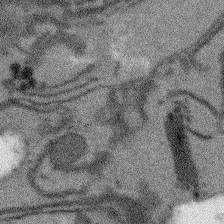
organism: Arabidopsis thaliana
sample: Root tip